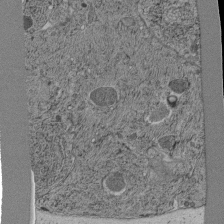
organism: C. elegans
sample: C. elegans pharynx